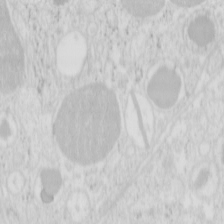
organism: Mouse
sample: Pancreas